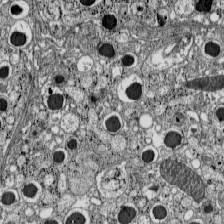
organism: C57BL Mouse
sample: Pancreatic islet